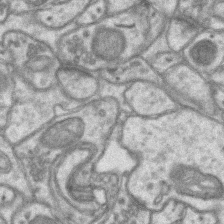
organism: Mouse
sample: CA1 Hippocampus